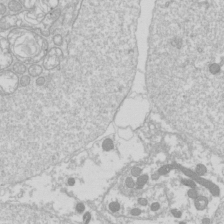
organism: Drosophila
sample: Cell division; meiosis; drosophila spermatocytes